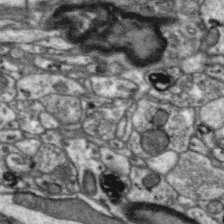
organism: Zebra finch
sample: Brain